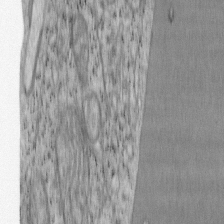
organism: Human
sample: HeLa cells